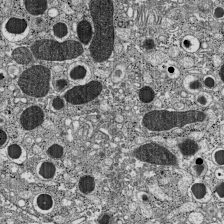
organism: C57BL Mouse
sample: Pancreatic islet